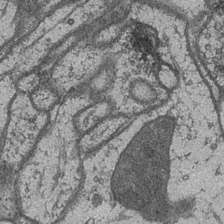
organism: Drosophila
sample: Optic medulla